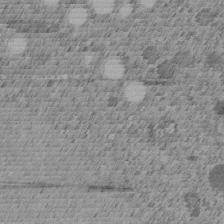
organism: C. elegans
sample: C. elegans embryo early stage